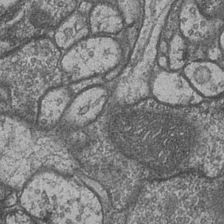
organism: Drosophila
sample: Optic medulla